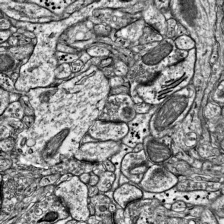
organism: Mouse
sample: Visual Cortex